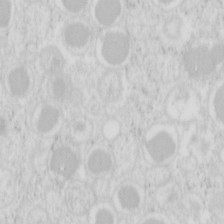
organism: Mouse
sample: Pancreas